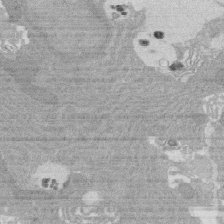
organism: Rat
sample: Salivary granule